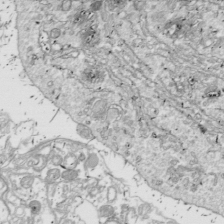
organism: Drosophila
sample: Cell division; meiosis; drosophila spermatocytes